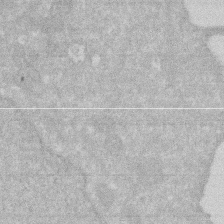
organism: Human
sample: HIV infected U937 cells